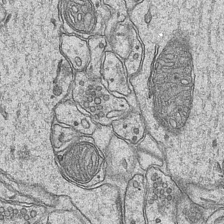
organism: Mouse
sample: CA1 Hippocampus